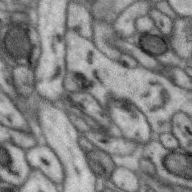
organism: Zebra finch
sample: Brain